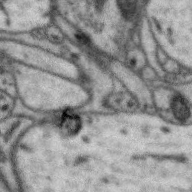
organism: Zebra finch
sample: Brain